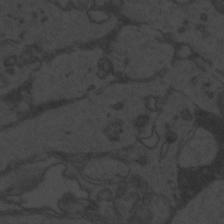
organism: Zebrafish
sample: Macrophage infected with Toxoplasma gondii